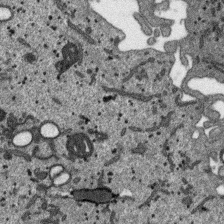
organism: Human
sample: Lung epithelial cells infected with SARS-CoV-2